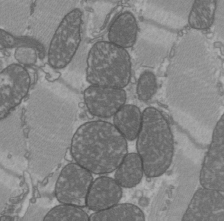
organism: C57BL Mouse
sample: Heart